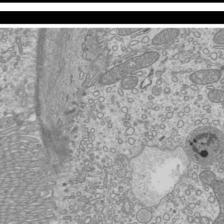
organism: Mouse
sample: Cilia; mouse epididymis